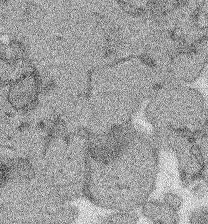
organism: Human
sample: HeLa cells